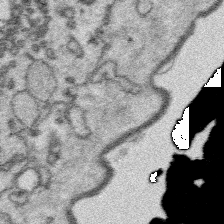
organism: Platynereis dumerilii